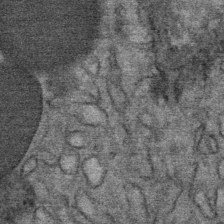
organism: Mouse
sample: Mouse Salivary gland